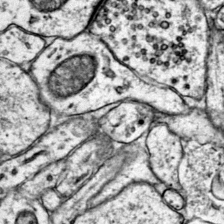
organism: Mouse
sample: Primary visual cortex